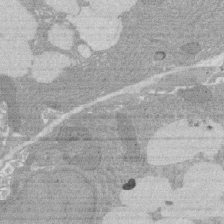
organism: Rat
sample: Salivary granule